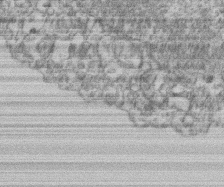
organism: Mouse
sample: T cell stromal cell synapse